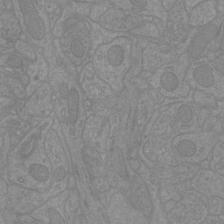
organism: Mouse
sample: Cortical neurons